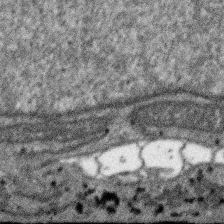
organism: Human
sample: Lung epithelial cells infected with SARS-CoV-2